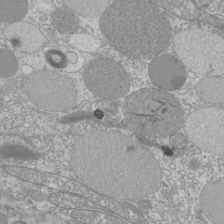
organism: Mouse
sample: Cilia; mouse epididymis